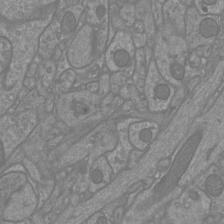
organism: Mouse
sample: Cortical neurons